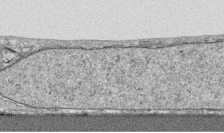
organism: Human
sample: CRL-1474